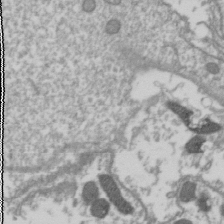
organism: Drosophila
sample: Cell division; meiosis; drosophila spermatocytes